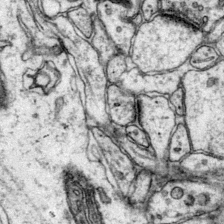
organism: Mouse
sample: Primary visual cortex